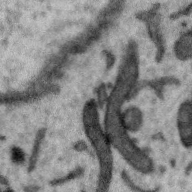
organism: Zebra finch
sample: Brain